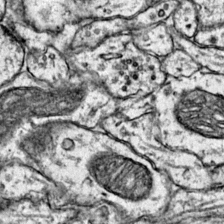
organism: Mouse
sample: Primary visual cortex